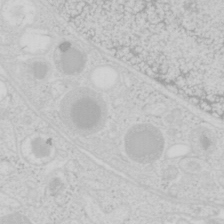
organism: Mouse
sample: Pancreas